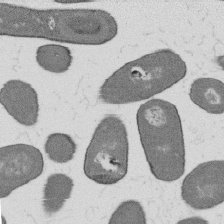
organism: B. subtilis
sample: Bacterial spore